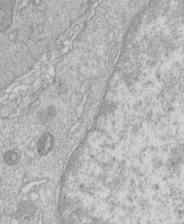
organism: Human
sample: Macrophage cells